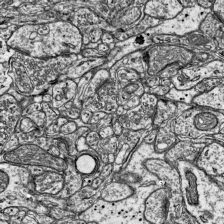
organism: Mouse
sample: Visual Cortex